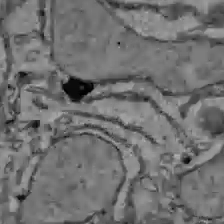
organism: C57BL Mouse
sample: Liver